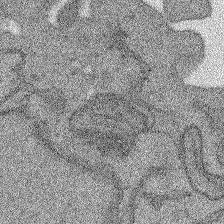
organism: Human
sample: HeLa cells